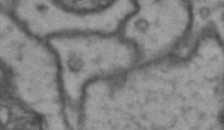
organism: Drosophila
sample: Brain